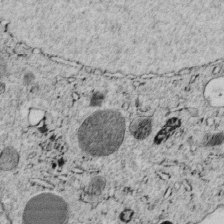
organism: C. elegans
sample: C. elegans embryo early stage